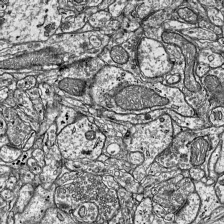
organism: Mouse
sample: Visual Cortex